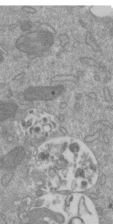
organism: Mouse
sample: ED-1 cell nuclei; centrioles